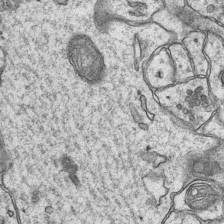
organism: Mouse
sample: CA1 Hippocampus